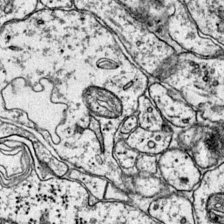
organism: Mouse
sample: Primary visual cortex